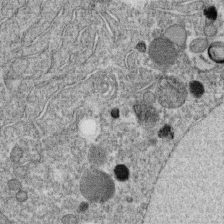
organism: C. elegans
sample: C. elegans oocyte; sperm cells